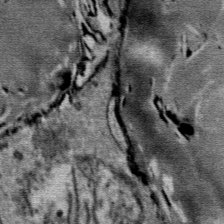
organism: Mouse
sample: Mouse Salivary gland